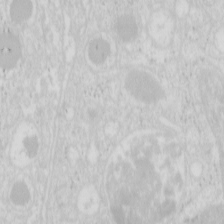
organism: Mouse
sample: Pancreas